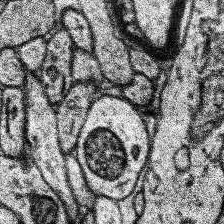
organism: Human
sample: Temporal Lobe